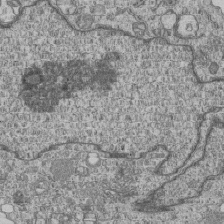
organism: Human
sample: MDA-MB-231 cells